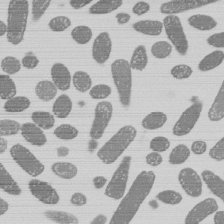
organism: E. coli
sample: Bacterial nucleoid